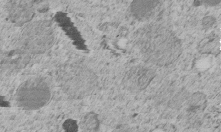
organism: C. elegans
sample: C. elegans embryo early stage